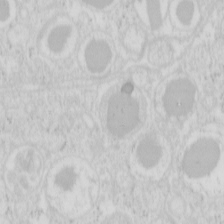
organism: Mouse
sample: Pancreas